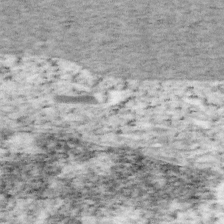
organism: Mouse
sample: OT-I killer T cells with ID8 ovarian cancer cells